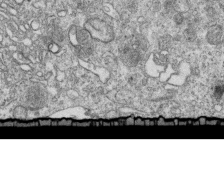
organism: Human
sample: HeLa cell HIV synapse